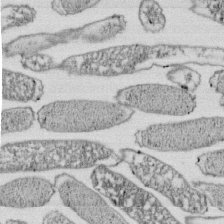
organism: E. coli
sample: Bacterial nucleoid